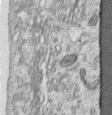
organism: Human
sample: Centriole in RPE cells